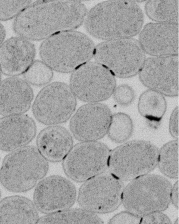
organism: E. coli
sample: Bacterial nucleoid